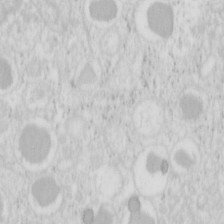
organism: Mouse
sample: Pancreas